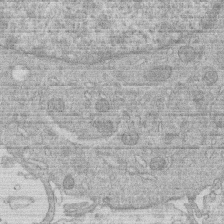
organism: Human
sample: Macrophage cells